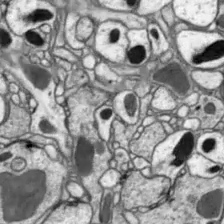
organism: Drosophila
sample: Optic lobe